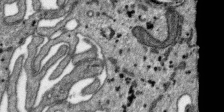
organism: Human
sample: Lung epithelial cells, uninfected (mock) control